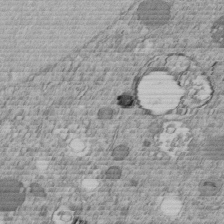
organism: C. elegans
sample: C. elegans embryo early stage